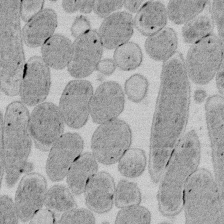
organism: E. coli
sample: Bacterial nucleoid